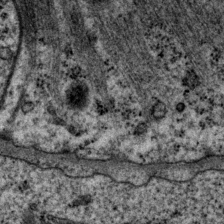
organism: P. pacificus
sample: Pharynx